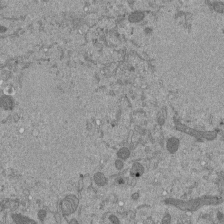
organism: Mouse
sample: ED-1 cell nuclei; centrioles